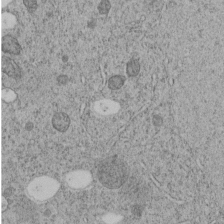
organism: C. elegans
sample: C. elegans embryo early stage